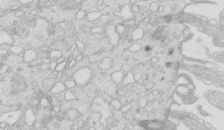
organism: Mouse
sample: Multiciliated cells